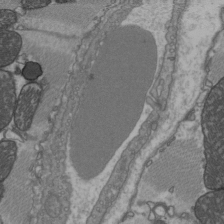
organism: C57BL Mouse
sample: Heart